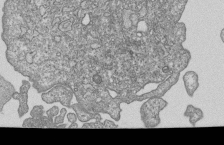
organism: Human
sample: MDA-MB-231 cells